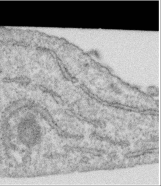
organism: Human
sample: Centriole in RPE cells